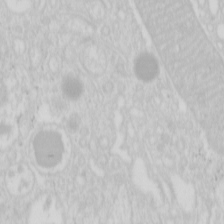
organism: Mouse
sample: Pancreas